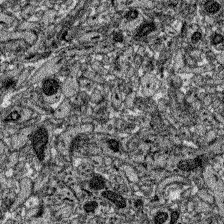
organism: Zebrafish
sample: Larval olfactory bulb